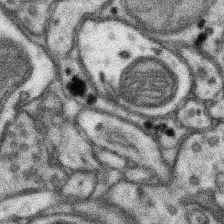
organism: Mouse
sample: Somatosensory cortex neuropil